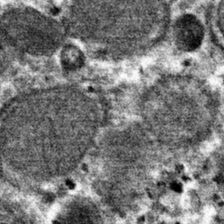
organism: Mouse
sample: Mouse hepatocytes